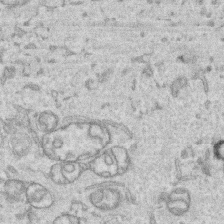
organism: Human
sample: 1205lu cells